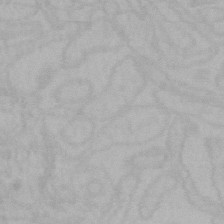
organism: Mouse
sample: Choroid plexus